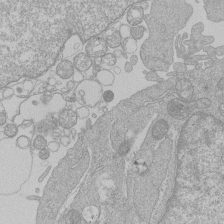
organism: Human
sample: Macrophage cells